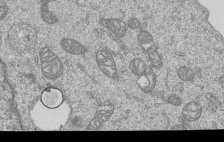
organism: Human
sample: MDA-MB-231 cells